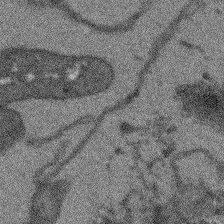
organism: Arabidopsis thaliana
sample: Root tip